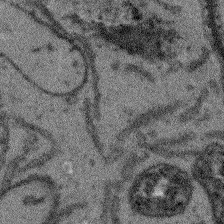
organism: Arabidopsis thaliana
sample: Root tip